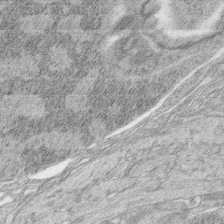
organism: Zebrafish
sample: synaptic ribbons in rod cells and cone cells